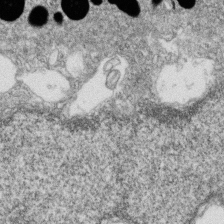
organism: Zebrafish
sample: Cilia; retinal pigment epithelium